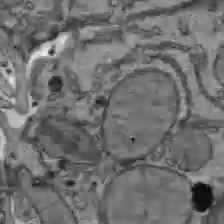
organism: C57BL Mouse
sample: Liver